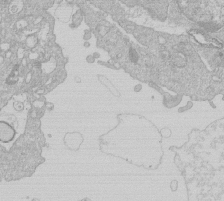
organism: Human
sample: Macrophage cells